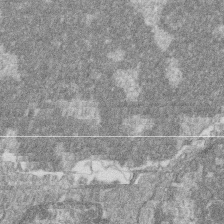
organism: Zebrafish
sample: Cilia; retinal pigment epithelium